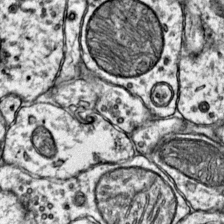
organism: Mouse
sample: Primary visual cortex